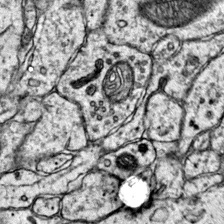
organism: Mouse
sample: Primary visual cortex